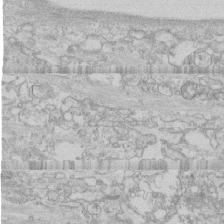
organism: Human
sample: CRL-1474